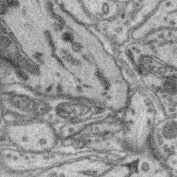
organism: Mouse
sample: Retina